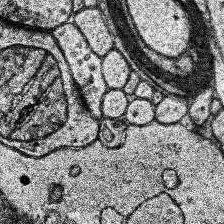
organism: Human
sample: Temporal Lobe